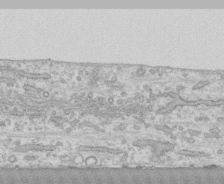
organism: Human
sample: CRL-1474